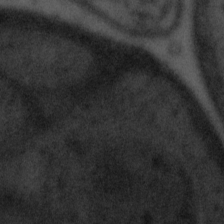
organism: Tuwongella immobilis